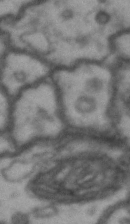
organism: Drosophila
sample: Brain